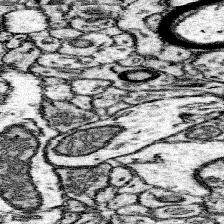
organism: Mouse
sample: Somatosensory cortex neuropil